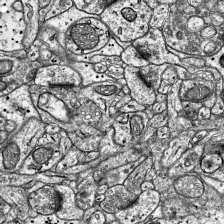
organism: Mouse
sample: Visual Cortex